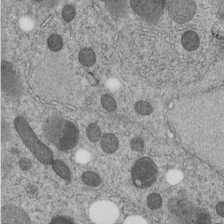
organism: C. elegans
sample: C. elegans embryo early stage